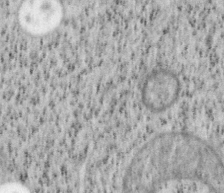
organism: Mouse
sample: OT-I killer T cells with ID8 ovarian cancer cells